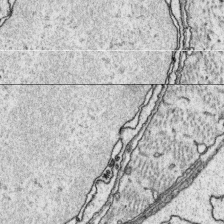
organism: Platynereis dumerilii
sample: Parapodia